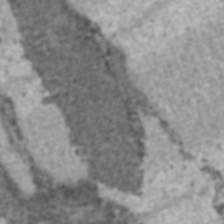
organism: C57BL Mouse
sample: Heart